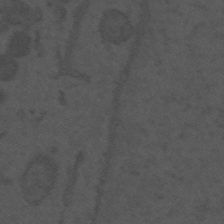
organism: Mouse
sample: Suprachiasmatic nucleus